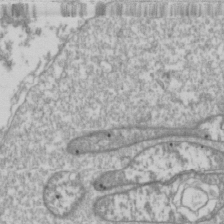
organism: Drosophila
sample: Cell division; meiosis; drosophila spermatocytes